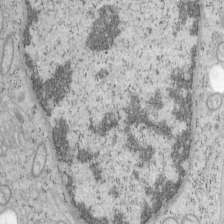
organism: Mouse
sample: OT-I killer T cells with ID8 ovarian cancer cells